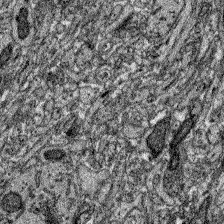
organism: Zebrafish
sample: Larval olfactory bulb